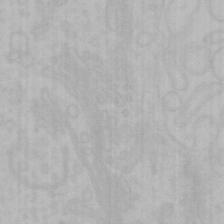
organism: Mouse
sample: Choroid plexus